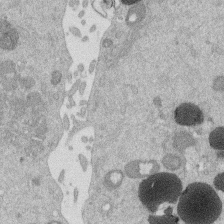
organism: Mouse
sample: Dividing mouse embryo 1 cell stage